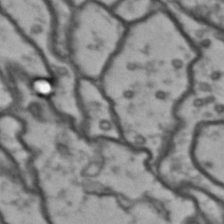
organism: Drosophila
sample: Brain